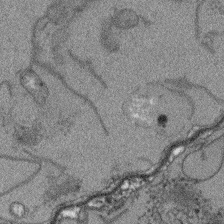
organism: Arabidopsis thaliana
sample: Root tip